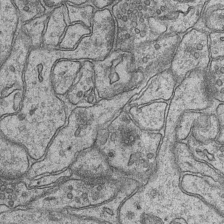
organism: Mouse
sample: CA1 Hippocampus